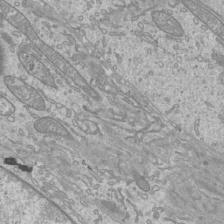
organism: Mouse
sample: Cilia; mouse epididymis